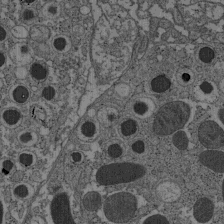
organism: C57BL Mouse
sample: Pancreatic islet